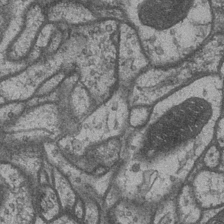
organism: Drosophila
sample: Optic medulla